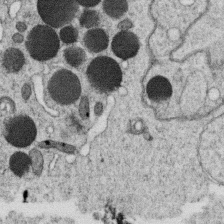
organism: C. elegans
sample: C. elegans oocyte; sperm cells